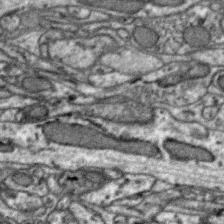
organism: Zebra finch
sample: Brain